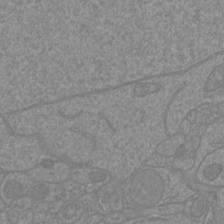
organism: Mouse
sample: Cortical neurons